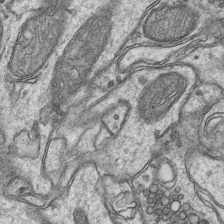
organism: Mouse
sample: CA1 Hippocampus